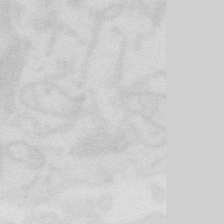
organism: Human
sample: HeLa cells